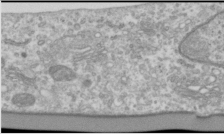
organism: Human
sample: Cilia; basal body in RPE cells